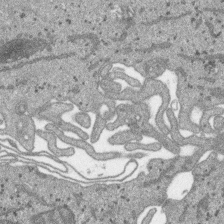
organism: Human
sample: Lung epithelial cells infected with SARS-CoV-2